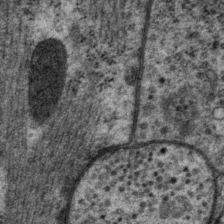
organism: P. pacificus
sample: Pharynx